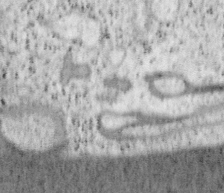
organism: Mouse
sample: OT-I killer T cells with ID8 ovarian cancer cells